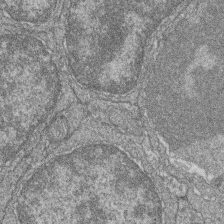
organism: Zebrafish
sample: Cilia; retinal pigment epithelium